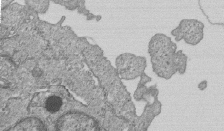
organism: Human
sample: MDA-MB-231 cells